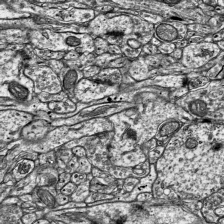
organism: Mouse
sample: Visual Cortex